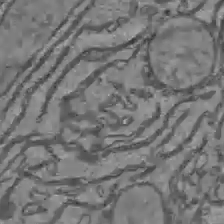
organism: C57BL Mouse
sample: Liver